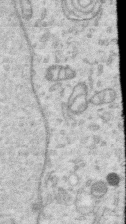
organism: Human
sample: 1205lu cells